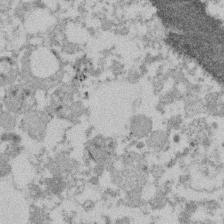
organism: Mouse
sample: Dividing mouse embryo 1 cell stage